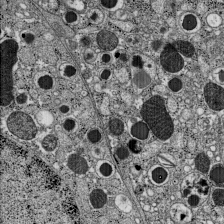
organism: C57BL Mouse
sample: Pancreatic islet